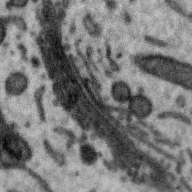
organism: Zebra finch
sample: Brain